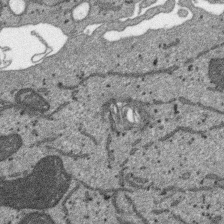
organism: Human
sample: Lung epithelial cells infected with SARS-CoV-2